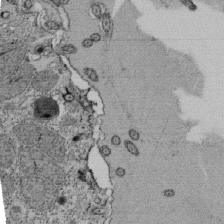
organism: Tetrahymena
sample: Cilia in tetrahymena